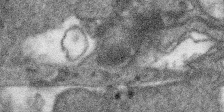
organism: Human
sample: Lung epithelial cells infected with SARS-CoV-2